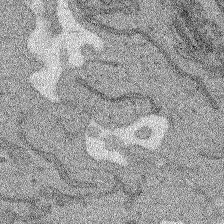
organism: Human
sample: HeLa cells